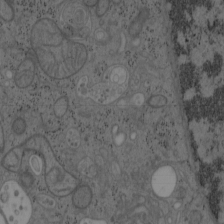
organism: Mouse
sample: OT-I killer T cells with ID8 ovarian cancer cells